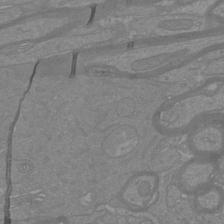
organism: Mouse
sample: Cortical neurons